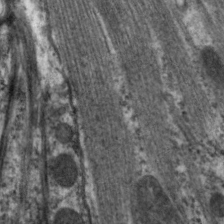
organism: C. elegans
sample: Pharynx